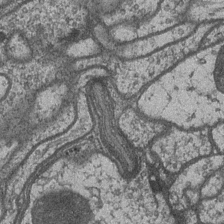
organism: Drosophila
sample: Optic medulla